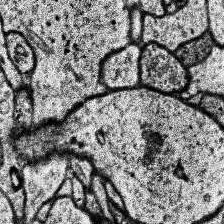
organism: Human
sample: Temporal Lobe